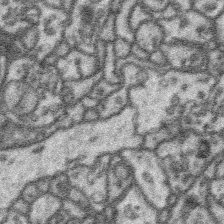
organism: Platynereis dumerilii